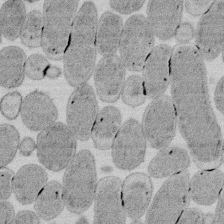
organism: E. coli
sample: Bacterial nucleoid